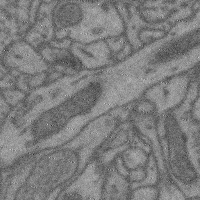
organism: Mouse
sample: Cerebral cortex